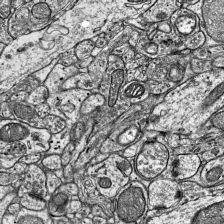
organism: Mouse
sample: Visual Cortex